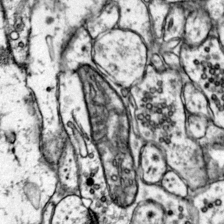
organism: Mouse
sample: Primary visual cortex